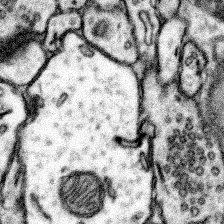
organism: Mouse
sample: Somatosensory cortex neuropil